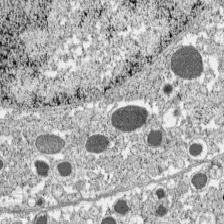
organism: C57BL Mouse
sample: Pancreatic islet